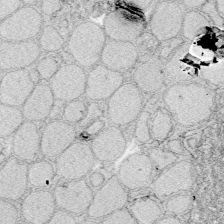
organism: Zebrafish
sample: Whole-Brain